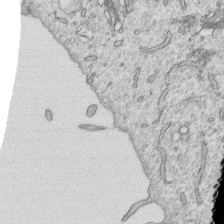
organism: Human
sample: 1205lu cells